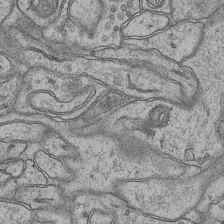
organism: Mouse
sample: CA1 Hippocampus